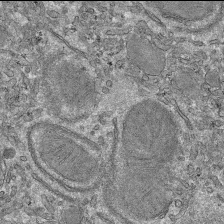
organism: Mouse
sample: Mouse hepatocytes